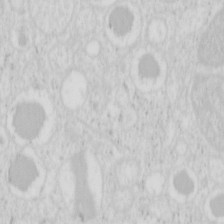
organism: Mouse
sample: Pancreas